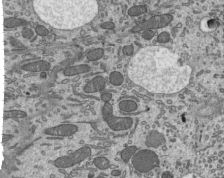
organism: Mouse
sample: Mouse epididymis efferent ductule cilia